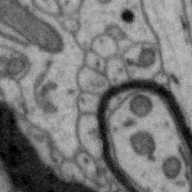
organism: Zebra finch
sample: Brain